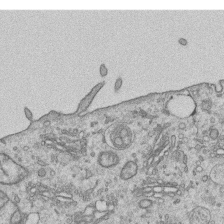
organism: Human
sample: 1205lu cells